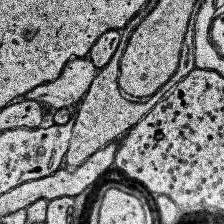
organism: Human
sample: Temporal Lobe